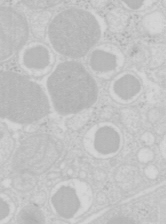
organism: Mouse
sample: Pancreas